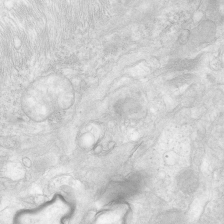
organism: Human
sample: Neocortex